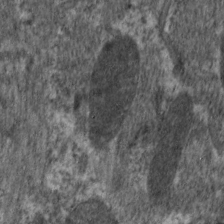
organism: C. elegans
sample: Pharynx